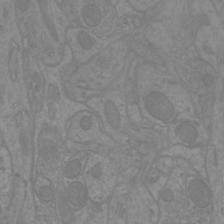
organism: Mouse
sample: Cortical neurons